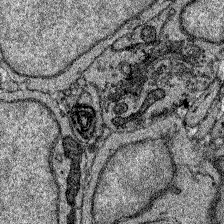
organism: Zebrafish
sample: Larval olfactory bulb